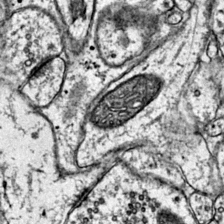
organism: Mouse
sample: Primary visual cortex